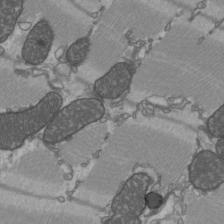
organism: C57BL Mouse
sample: Heart